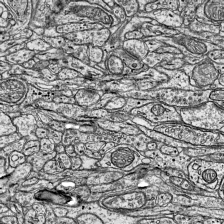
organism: Mouse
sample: Visual Cortex